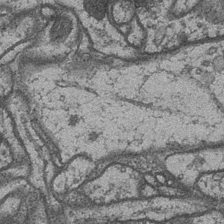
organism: Drosophila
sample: Optic medulla